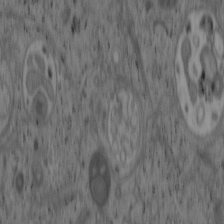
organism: Human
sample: HeLa cells